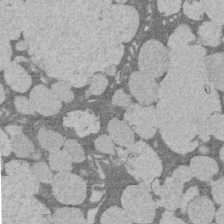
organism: Rat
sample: Salivary granule